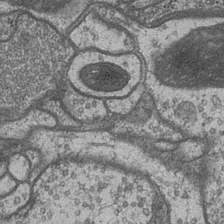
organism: Drosophila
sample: Optic medulla